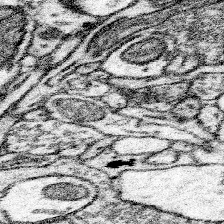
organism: Mouse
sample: Somatosensory cortex neuropil